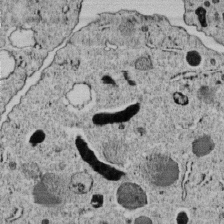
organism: C. elegans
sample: C. elegans embryo early stage